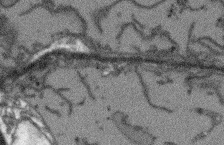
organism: Arabidopsis thaliana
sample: Root tip